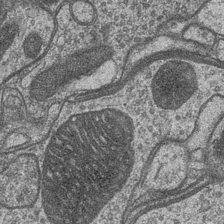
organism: Drosophila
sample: Optic medulla